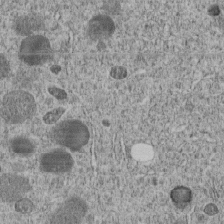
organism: C. elegans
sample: C. elegans embryo early stage